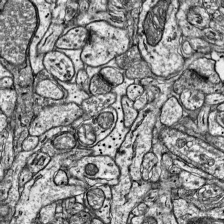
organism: Mouse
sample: Visual Cortex